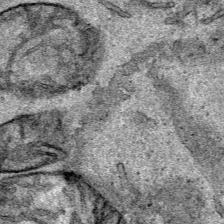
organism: Human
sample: Mitochondria in HCT116 cells